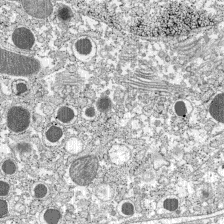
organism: C57BL Mouse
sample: Pancreatic islet